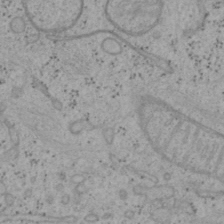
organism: Human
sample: HeLa cells